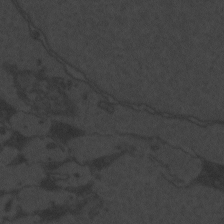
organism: Zebrafish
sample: Macrophage infected with Toxoplasma gondii